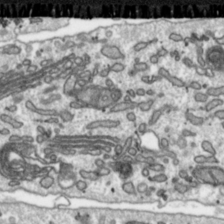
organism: Toxoplasma gondii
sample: Parasites in a vacuole inside a host cell